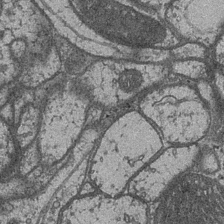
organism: Drosophila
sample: Optic medulla